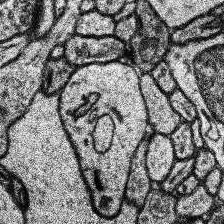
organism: Human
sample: Temporal Lobe